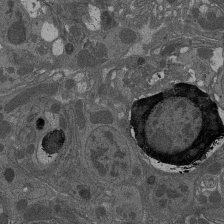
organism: Drosophila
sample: Antenna